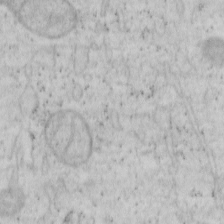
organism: Human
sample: HeLa cells